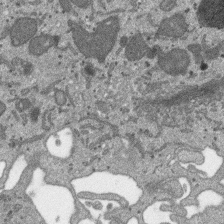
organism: Human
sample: Lung epithelial cells infected with SARS-CoV-2